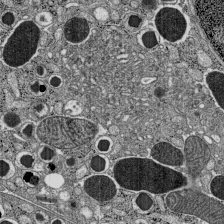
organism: C57BL Mouse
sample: Pancreatic islet